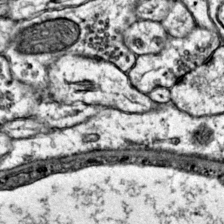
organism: Mouse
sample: Primary visual cortex